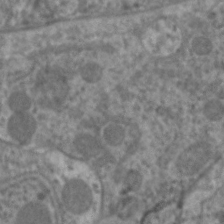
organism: C. elegans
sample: Pharynx